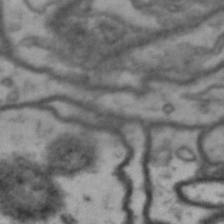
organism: Drosophila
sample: Brain